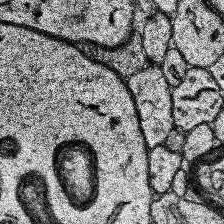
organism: Human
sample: Temporal Lobe